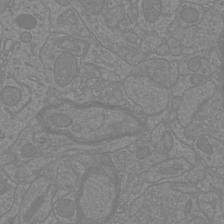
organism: Mouse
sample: Cortical neurons